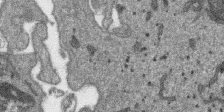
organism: Human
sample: Lung epithelial cells infected with SARS-CoV-2